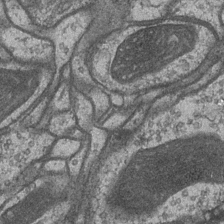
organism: Drosophila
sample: Optic medulla